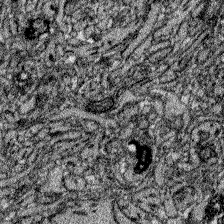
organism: Zebrafish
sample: Larval olfactory bulb